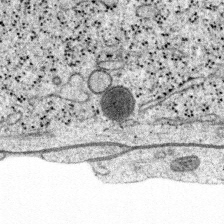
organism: Human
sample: HeLa cells